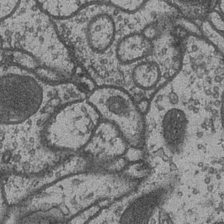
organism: Drosophila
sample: Optic medulla